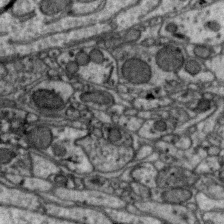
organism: Zebra finch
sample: Brain